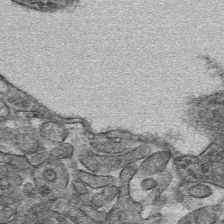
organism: Mouse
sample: Mouse hepatocytes